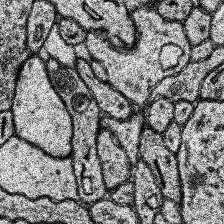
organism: Human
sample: Temporal Lobe